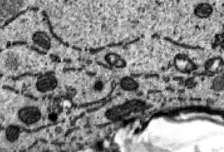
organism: Human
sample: HeLa cells